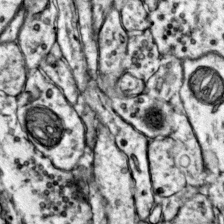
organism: Mouse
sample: Primary visual cortex